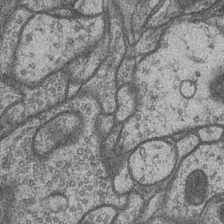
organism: Drosophila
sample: Optic medulla